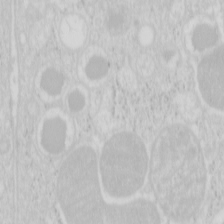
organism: Mouse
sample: Pancreas